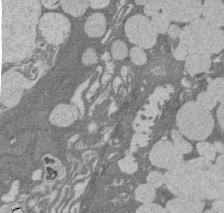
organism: Rat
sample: Salivary granule